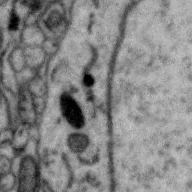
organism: Zebra finch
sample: Brain